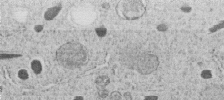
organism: C. elegans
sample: C. elegans embryo early stage